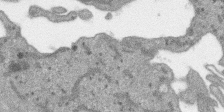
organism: Human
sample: Lung epithelial cells infected with SARS-CoV-2